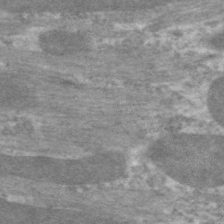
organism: C. elegans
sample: Pharynx